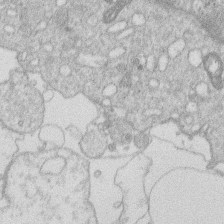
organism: Human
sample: Macrophage cells